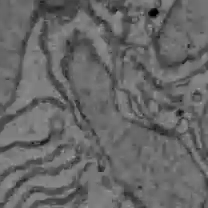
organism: C57BL Mouse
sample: Liver